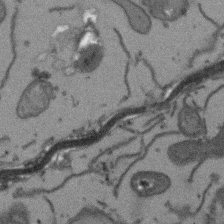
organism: Arabidopsis thaliana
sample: Root tip